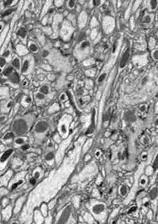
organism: Drosophila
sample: Optic lobe